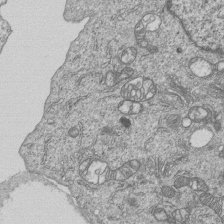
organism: Human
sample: MDA-MB-231 cells